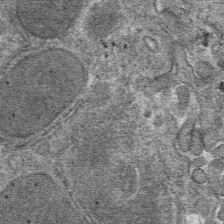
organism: Mouse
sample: Mouse hepatocytes